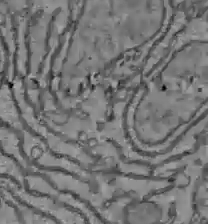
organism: C57BL Mouse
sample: Liver